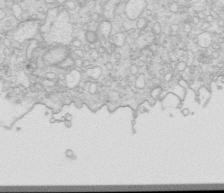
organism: Mouse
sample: Multiciliated cells